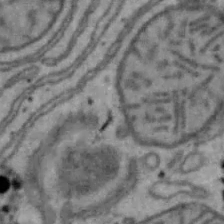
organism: Mouse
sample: Liver